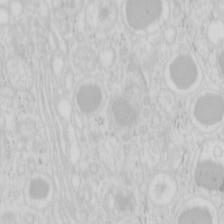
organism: Mouse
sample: Pancreas